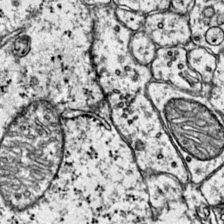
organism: Mouse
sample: Primary visual cortex